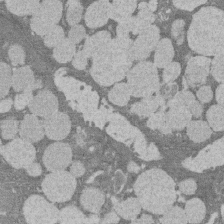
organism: Rat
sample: Salivary granule